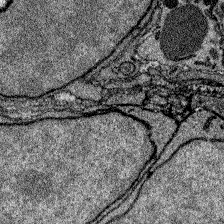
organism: Zebrafish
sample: Larval olfactory bulb